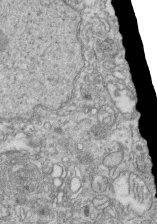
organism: Human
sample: HeLa cell HIV synapse